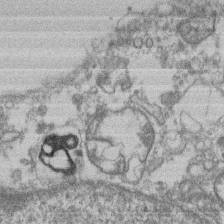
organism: Mouse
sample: T cell stromal cell synapse